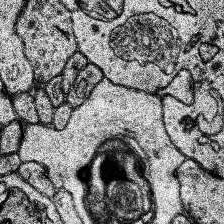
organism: Human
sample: Temporal Lobe